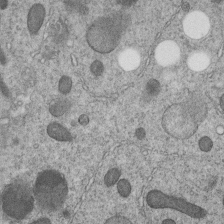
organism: C. elegans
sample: C. elegans embryo early stage